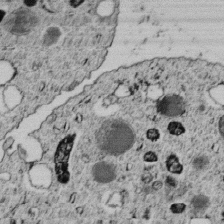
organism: C. elegans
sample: C. elegans embryo early stage